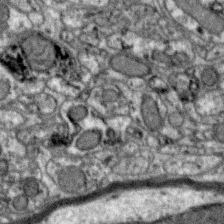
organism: Zebra finch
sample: Brain